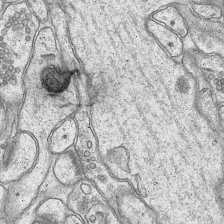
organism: Mouse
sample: CA1 Hippocampus